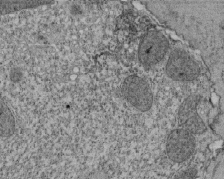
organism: Tetrahymena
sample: Cilia in tetrahymena